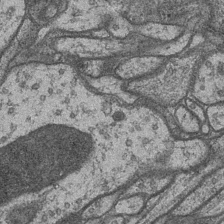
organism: Drosophila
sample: Optic medulla